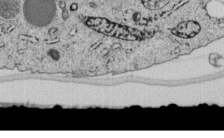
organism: C. elegans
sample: C. elegans embryo early stage